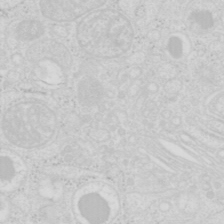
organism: Mouse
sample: Pancreas